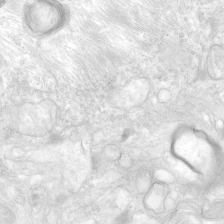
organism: Human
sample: Neocortex